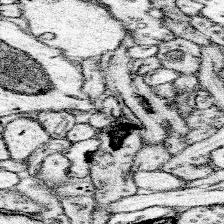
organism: Mouse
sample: Somatosensory cortex neuropil